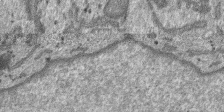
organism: Human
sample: Lung epithelial cells infected with SARS-CoV-2